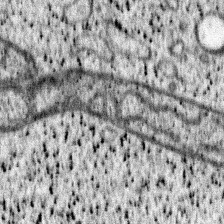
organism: Human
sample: HeLa cells